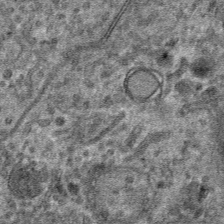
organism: Mouse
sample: Mouse hepatocytes